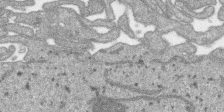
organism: Human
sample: Lung epithelial cells infected with SARS-CoV-2